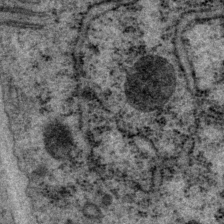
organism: P. pacificus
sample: Pharynx